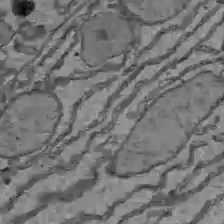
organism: C57BL Mouse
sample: Liver